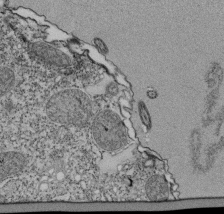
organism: Tetrahymena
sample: Cilia in tetrahymena